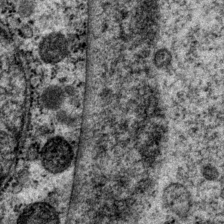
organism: P. pacificus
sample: Pharynx